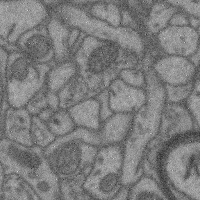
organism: Mouse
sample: Cerebral cortex